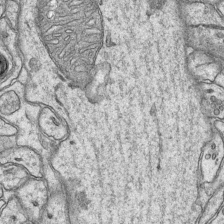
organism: Mouse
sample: CA1 Hippocampus